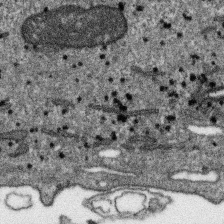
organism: Human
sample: Lung epithelial cells infected with SARS-CoV-2